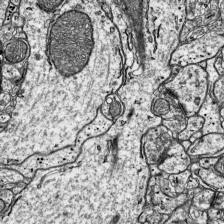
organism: Mouse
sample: Visual Cortex